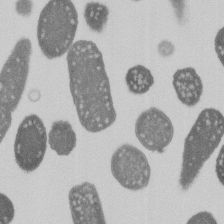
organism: E. coli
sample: Bacterial nucleoid